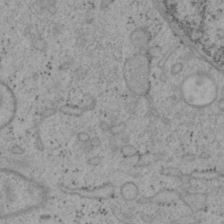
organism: Human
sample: HeLa cells